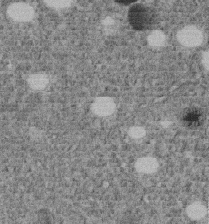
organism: C. elegans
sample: C. elegans embryo early stage